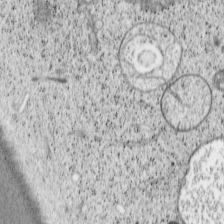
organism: African green monkey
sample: COS-7 cells